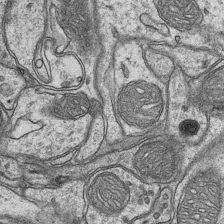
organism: Mouse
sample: CA1 Hippocampus